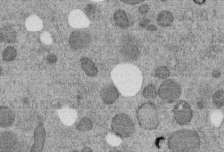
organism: C. elegans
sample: C. elegans embryo early stage